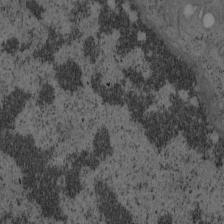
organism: Mouse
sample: OT-I killer T cells with ID8 ovarian cancer cells